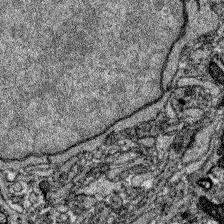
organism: Zebrafish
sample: Larval olfactory bulb